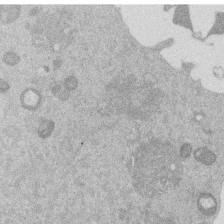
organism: Mouse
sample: Dividing mouse embryo 1 cell stage